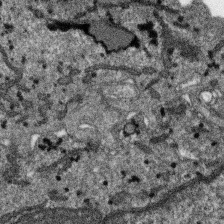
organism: Human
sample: Lung epithelial cells infected with SARS-CoV-2